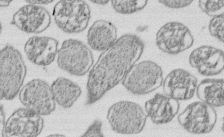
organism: E. coli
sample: Bacterial nucleoid